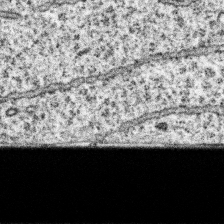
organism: Human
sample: HeLa cells